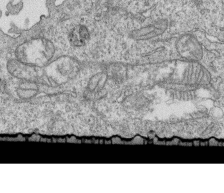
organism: Human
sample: HeLa cell HIV synapse